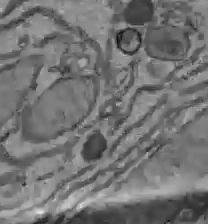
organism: C57BL Mouse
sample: Liver